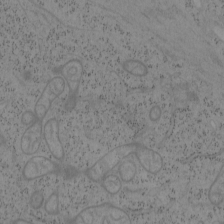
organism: Mouse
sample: OT-I killer T cells with ID8 ovarian cancer cells